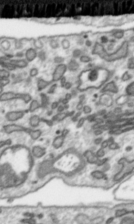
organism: Toxoplasma gondii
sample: Parasites in a vacuole inside a host cell